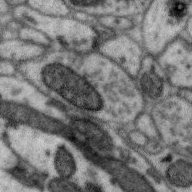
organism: Zebra finch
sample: Brain